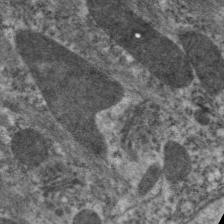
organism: C. elegans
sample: Pharynx